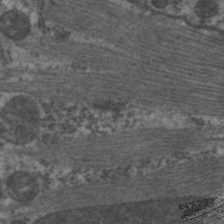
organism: C. elegans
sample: Pharynx